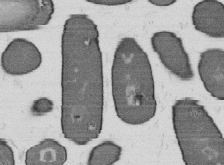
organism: B. subtilis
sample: Bacterial spore